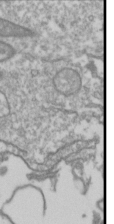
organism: Drosophila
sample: Cell division; meiosis; drosophila spermatocytes